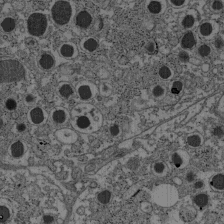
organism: C57BL Mouse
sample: Pancreatic islet